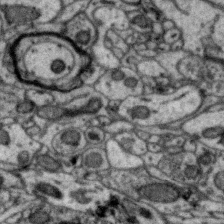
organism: Zebra finch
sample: Brain